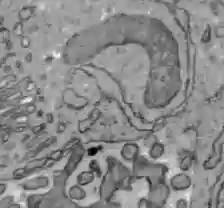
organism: C57BL Mouse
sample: Liver